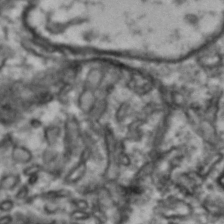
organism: Drosophila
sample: Brain